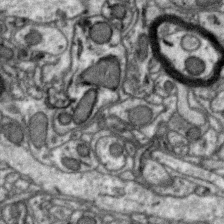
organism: Zebra finch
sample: Brain